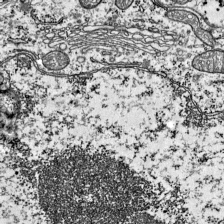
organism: Mouse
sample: Visual Cortex